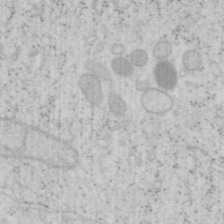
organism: Human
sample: HeLa cells